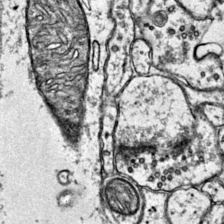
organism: Mouse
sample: Primary visual cortex